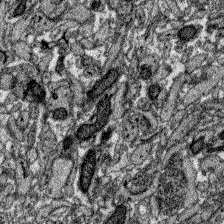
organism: Zebrafish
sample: Larval olfactory bulb